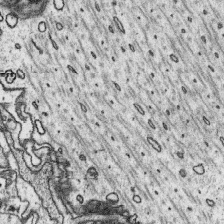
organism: Platynereis dumerilii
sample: Parapodia